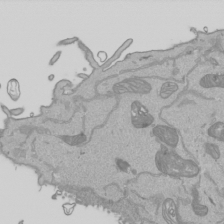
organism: Human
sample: Mitochondria in HCT116 cells